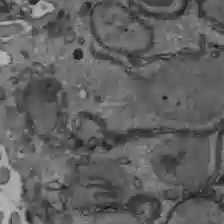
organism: C57BL Mouse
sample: Liver